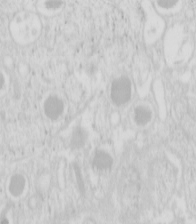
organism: Mouse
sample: Pancreas